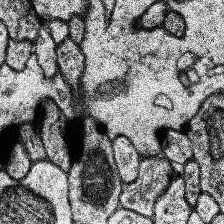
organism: Human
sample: Temporal Lobe